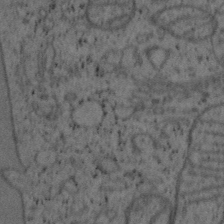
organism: Human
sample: HeLa cells